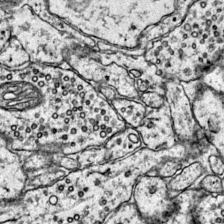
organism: Mouse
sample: Primary visual cortex